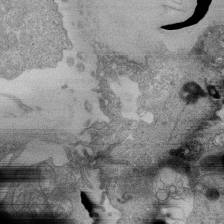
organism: Human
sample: Retinal organoid Rod and Cone cells